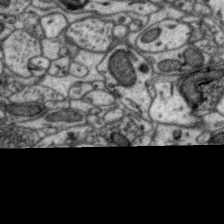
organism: Zebra finch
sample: Brain